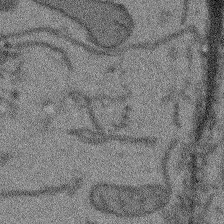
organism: Arabidopsis thaliana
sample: Root tip